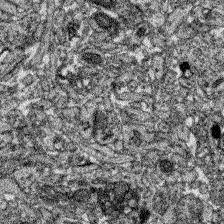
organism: Zebrafish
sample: Larval olfactory bulb